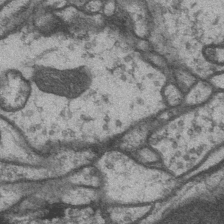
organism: Drosophila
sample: Optic medulla